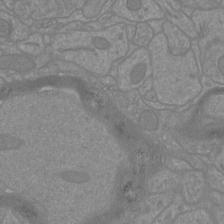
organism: Mouse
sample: Cortical neurons